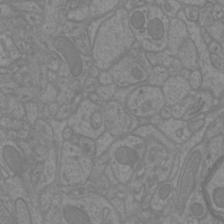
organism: Mouse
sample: Cortical neurons